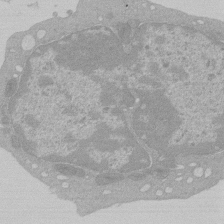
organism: Mouse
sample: Activated Pmel transgenic CD8+ T Cells